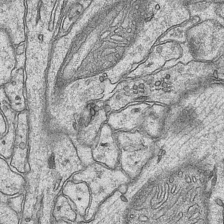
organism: Mouse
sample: CA1 Hippocampus